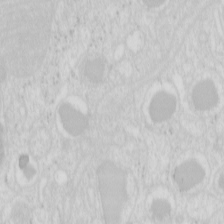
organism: Mouse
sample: Pancreas